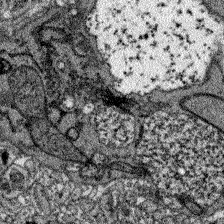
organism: Zebrafish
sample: Larval olfactory bulb